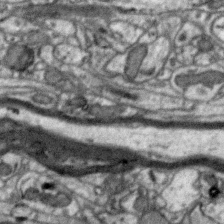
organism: Zebra finch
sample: Brain